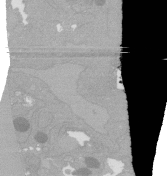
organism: C. elegans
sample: C. elegans oocyte; sperm cells